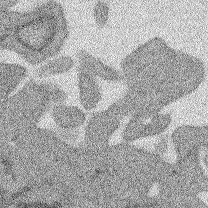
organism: Human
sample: HeLa cells